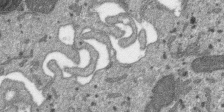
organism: Human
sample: Lung epithelial cells infected with SARS-CoV-2